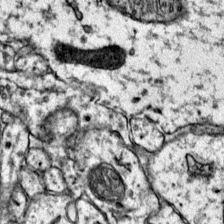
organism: Mouse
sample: Primary visual cortex